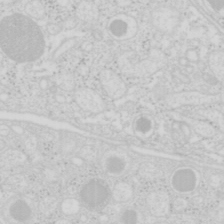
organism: Mouse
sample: Pancreas